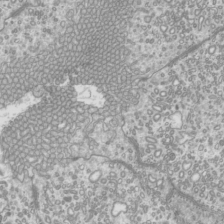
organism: Mouse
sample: Cilia; mouse epididymis